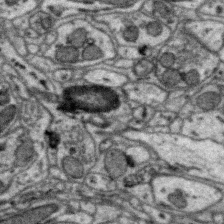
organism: Zebra finch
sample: Brain